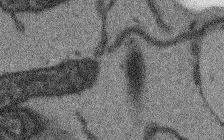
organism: Arabidopsis thaliana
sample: Root tip